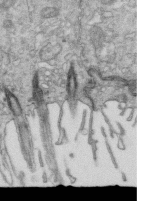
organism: Mouse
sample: Multiciliated cells